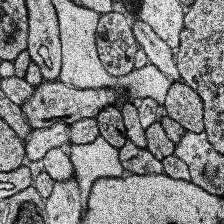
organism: Human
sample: Temporal Lobe